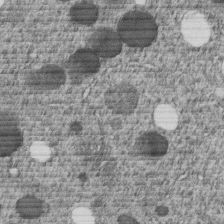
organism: C. elegans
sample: C. elegans embryo early stage